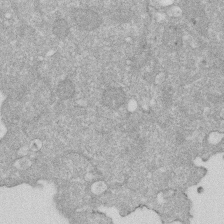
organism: Human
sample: HIV infected U937 cells